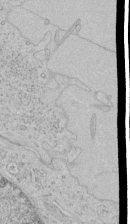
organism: Human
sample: Mitochondria in HCT116 cells